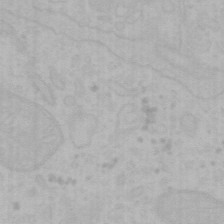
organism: Mouse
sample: Choroid plexus